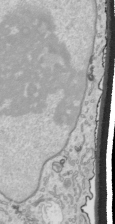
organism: Human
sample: Mitochondria in HCT116 cells